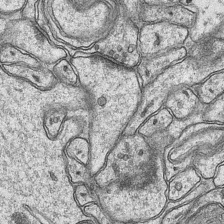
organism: Mouse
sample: CA1 Hippocampus